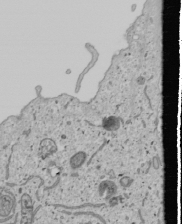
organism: Human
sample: Mitochondria in U2OS cells